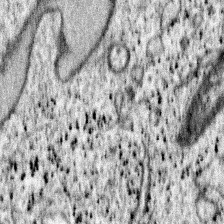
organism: Human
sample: HeLa cells